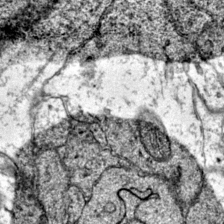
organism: Mouse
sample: Primary visual cortex